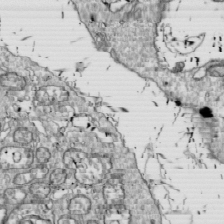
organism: Drosophila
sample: Cell division; meiosis; drosophila spermatocytes